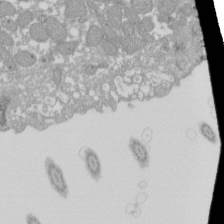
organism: Xenopus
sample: Cilia; centrioles in frog embryo cells